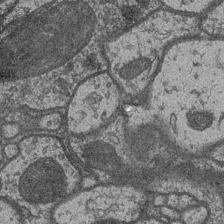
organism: Drosophila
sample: Optic medulla